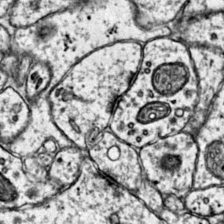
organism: Mouse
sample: Primary visual cortex